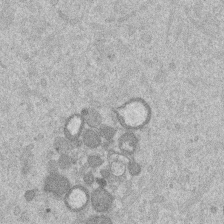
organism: Mouse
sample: Dividing mouse embryo 1 cell stage